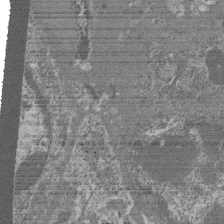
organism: Mouse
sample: Glomerulus